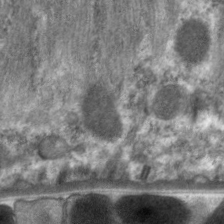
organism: C. elegans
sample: Pharynx